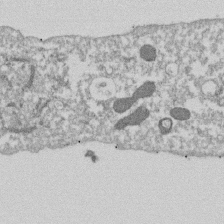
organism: Dictyostelium discoideum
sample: Dictyostelium multivesicular bodies